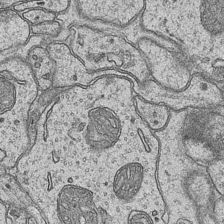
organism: Mouse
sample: CA1 Hippocampus